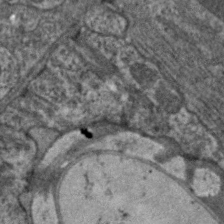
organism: C. elegans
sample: Pharynx